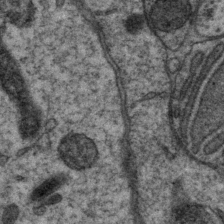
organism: P. pacificus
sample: Pharynx